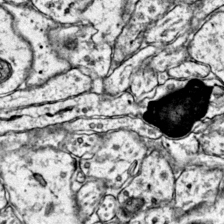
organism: Mouse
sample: Primary visual cortex